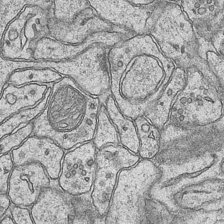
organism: Mouse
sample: CA1 Hippocampus